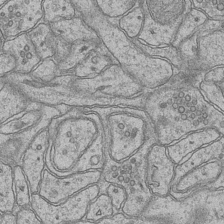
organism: Mouse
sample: CA1 Hippocampus